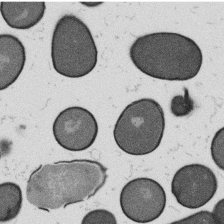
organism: B. subtilis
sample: Bacterial spore